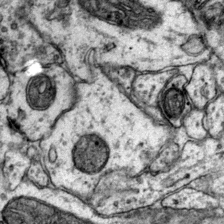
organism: Mouse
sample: Primary visual cortex